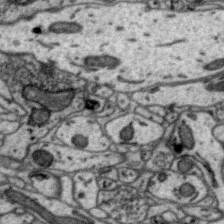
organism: Zebra finch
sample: Brain